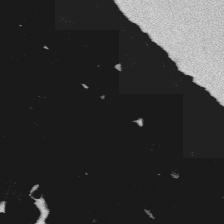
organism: Platynereis dumerilii